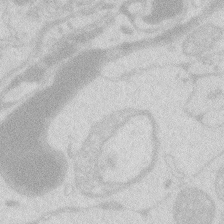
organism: Zebrafish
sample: Macrophage